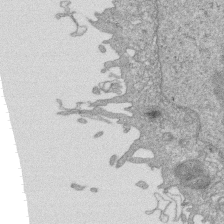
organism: Human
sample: HeLa cell HIV synapse